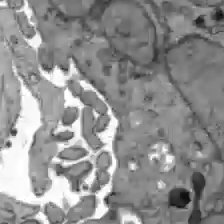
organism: C57BL Mouse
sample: Liver